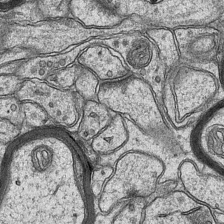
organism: Mouse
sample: CA1 Hippocampus